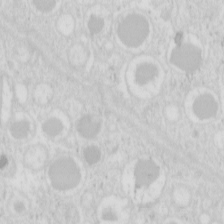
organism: Mouse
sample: Pancreas